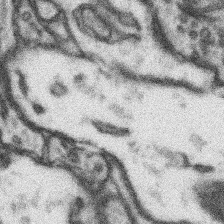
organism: Mouse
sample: Somatosensory cortex neuropil